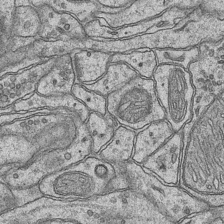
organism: Mouse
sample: CA1 Hippocampus